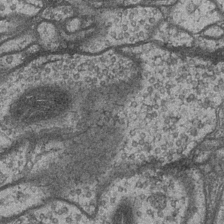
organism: Drosophila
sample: Optic medulla